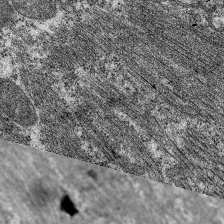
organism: C. elegans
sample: Pharynx